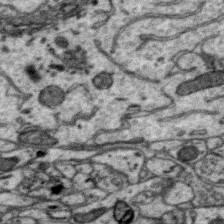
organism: Zebra finch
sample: Brain